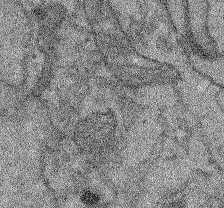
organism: Human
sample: HeLa cells